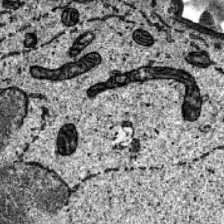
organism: Human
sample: HeLa cells